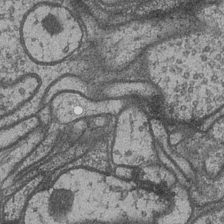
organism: Drosophila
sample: Optic medulla